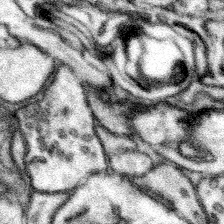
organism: Mouse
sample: Somatosensory cortex neuropil